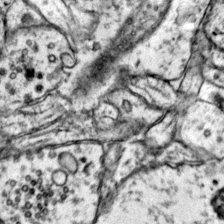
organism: Mouse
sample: Primary visual cortex